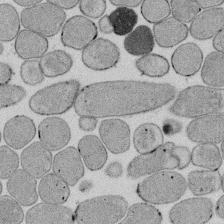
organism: E. coli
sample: Bacterial nucleoid